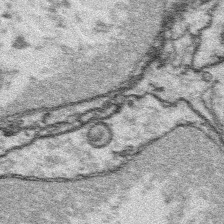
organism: Platynereis dumerilii